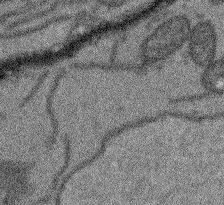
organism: Arabidopsis thaliana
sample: Root tip